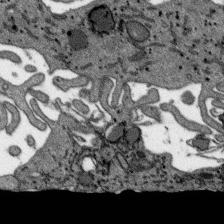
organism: Human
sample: Lung epithelial cells, uninfected (mock) control